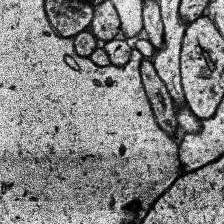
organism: Human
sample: Temporal Lobe